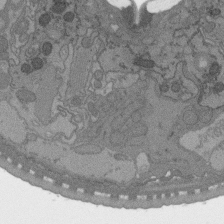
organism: C. elegans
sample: AFD neurons C. elegans